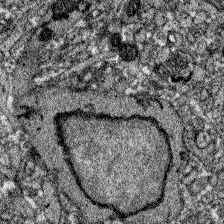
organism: Zebrafish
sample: Larval olfactory bulb